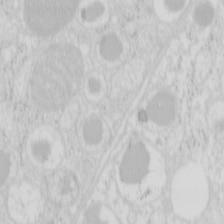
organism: Mouse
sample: Pancreas